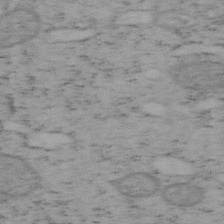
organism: Mouse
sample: OT-I killer T cells with ID8 ovarian cancer cells